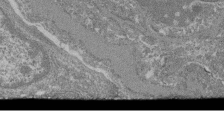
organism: Mouse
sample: Glomerulus